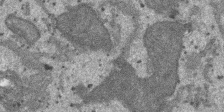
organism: Human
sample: Lung epithelial cells infected with SARS-CoV-2